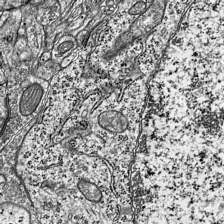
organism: Mouse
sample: Visual Cortex